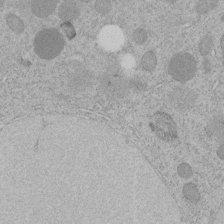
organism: C. elegans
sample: C. elegans embryo early stage